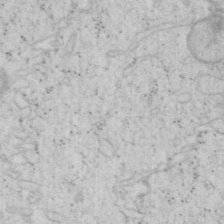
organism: Human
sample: HeLa cells